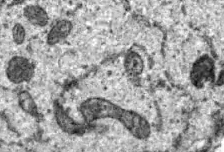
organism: Human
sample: HeLa cells